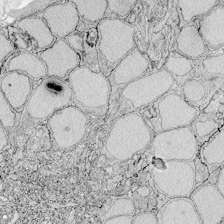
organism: Zebrafish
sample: Whole-Brain